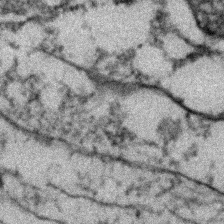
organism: Zebrafish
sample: Zebrafish embryo